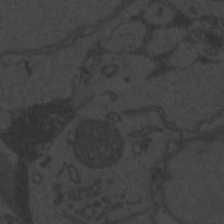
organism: Zebrafish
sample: Macrophage infected with Toxoplasma gondii